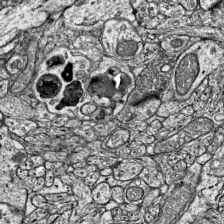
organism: Mouse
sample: Visual Cortex